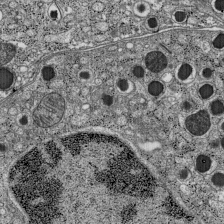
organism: C57BL Mouse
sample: Pancreatic islet